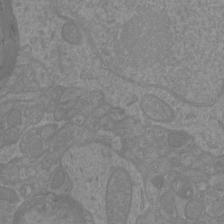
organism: Mouse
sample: Cortical neurons